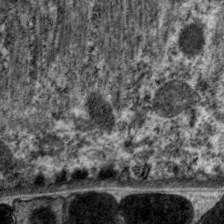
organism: C. elegans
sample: Pharynx